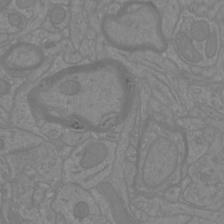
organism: Mouse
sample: Cortical neurons